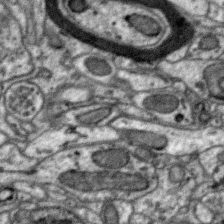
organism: Zebra finch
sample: Brain